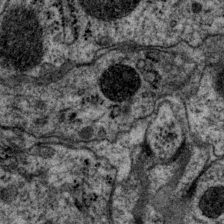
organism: P. pacificus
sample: Pharynx